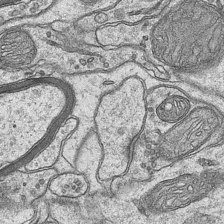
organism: Mouse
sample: CA1 Hippocampus